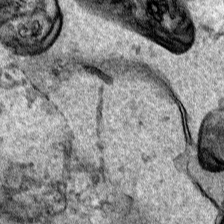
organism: Human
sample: Mitochondria in HCT116 cells